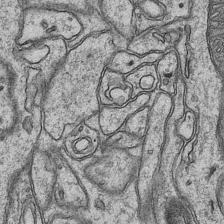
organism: Mouse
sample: CA1 Hippocampus